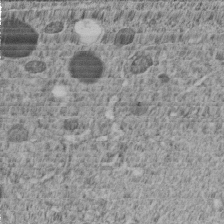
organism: C. elegans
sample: C. elegans embryo early stage